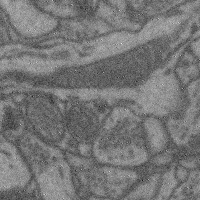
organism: Mouse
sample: Cerebral cortex